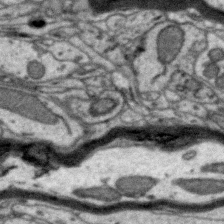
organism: Zebra finch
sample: Brain